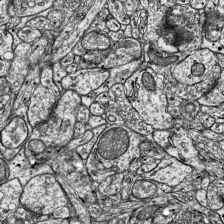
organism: Mouse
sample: Visual Cortex